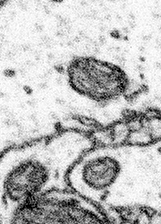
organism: Mouse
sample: Somatosensory cortex neuropil